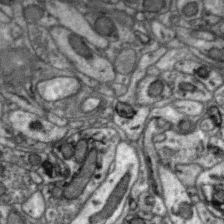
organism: Zebra finch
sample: Brain